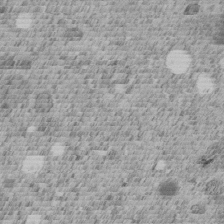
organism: C. elegans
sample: C. elegans embryo early stage